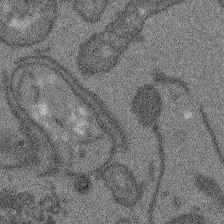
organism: Arabidopsis thaliana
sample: Root tip